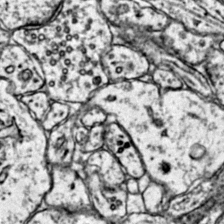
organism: Mouse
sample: Primary visual cortex